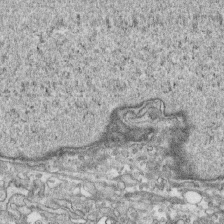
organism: Human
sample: CRL-1474